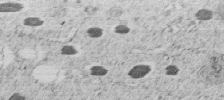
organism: C. elegans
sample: C. elegans embryo early stage